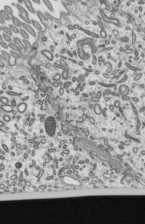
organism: Mouse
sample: Mouse epididymis efferent ductule cilia